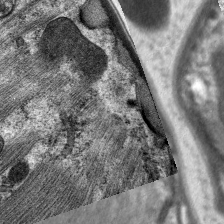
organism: C. elegans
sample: Pharynx